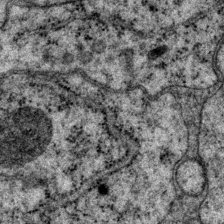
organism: P. pacificus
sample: Pharynx